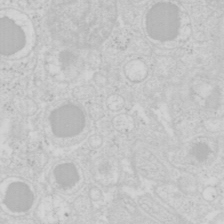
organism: Mouse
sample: Pancreas